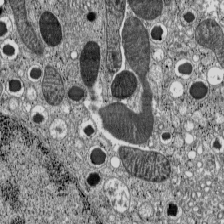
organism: C57BL Mouse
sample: Pancreatic islet